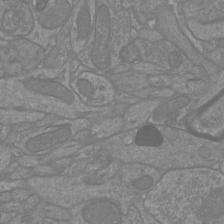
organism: Mouse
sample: Cortical neurons